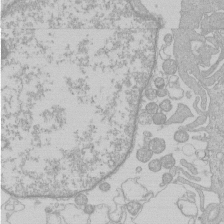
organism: Human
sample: Macrophage cells